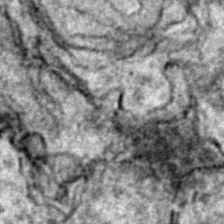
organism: Zebrafish